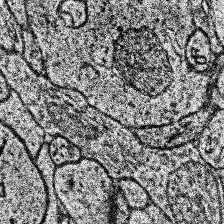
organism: Human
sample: Temporal Lobe